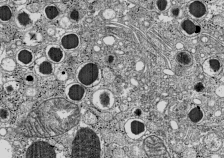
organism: C57BL Mouse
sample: Pancreatic islet